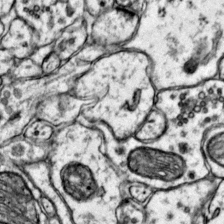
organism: Mouse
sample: Primary visual cortex